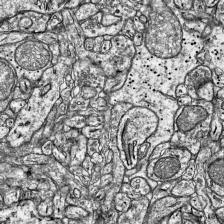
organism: Mouse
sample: Visual Cortex